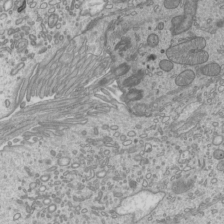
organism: Mouse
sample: Cilia; mouse epididymis